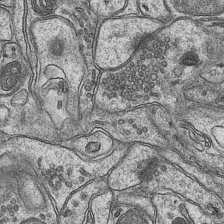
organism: Mouse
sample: CA1 Hippocampus